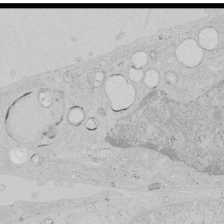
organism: Human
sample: Mitochondria in HCT116 cells